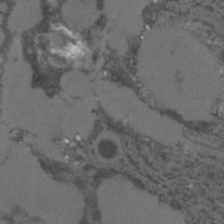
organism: C. elegans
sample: C. elegans embryo